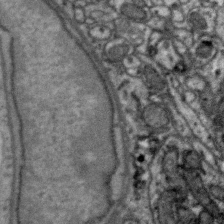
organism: Zebra finch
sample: Brain